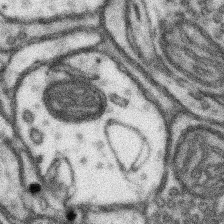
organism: Mouse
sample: Somatosensory cortex neuropil